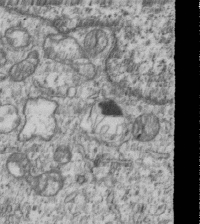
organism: Human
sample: MDA-MB-231 cells